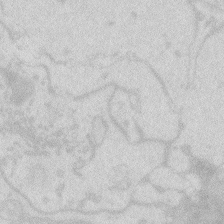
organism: Zebrafish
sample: Macrophage